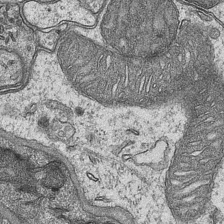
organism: Mouse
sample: CA1 Hippocampus